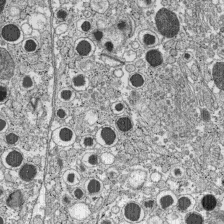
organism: C57BL Mouse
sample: Pancreatic islet